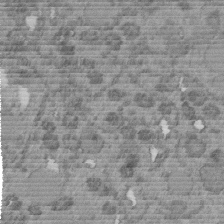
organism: C. elegans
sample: C. elegans embryo early stage